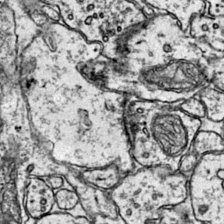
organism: Mouse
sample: Primary visual cortex